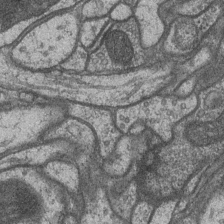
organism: Drosophila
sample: Optic medulla